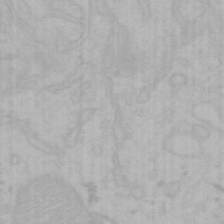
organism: Mouse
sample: Choroid plexus